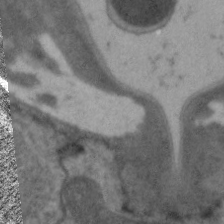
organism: C. elegans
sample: Pharynx